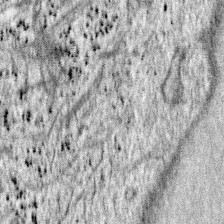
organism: Human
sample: HeLa cells